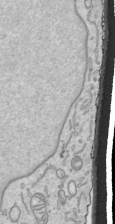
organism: Human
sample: Mitochondria in HCT116 cells